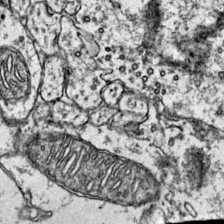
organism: Mouse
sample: Primary visual cortex